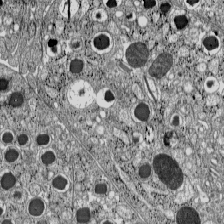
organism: C57BL Mouse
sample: Pancreatic islet